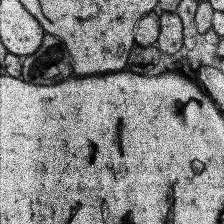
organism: Human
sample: Temporal Lobe